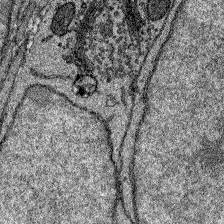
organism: Zebrafish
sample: Larval olfactory bulb